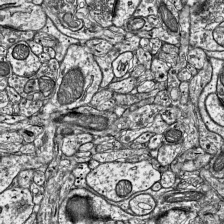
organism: Mouse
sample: Visual Cortex